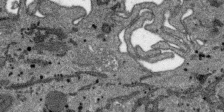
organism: Human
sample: Lung epithelial cells, uninfected (mock) control